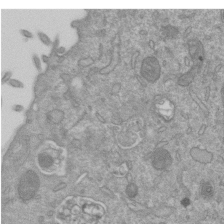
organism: Mouse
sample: ED-1 cell nuclei; centrioles